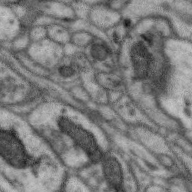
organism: Zebra finch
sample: Brain